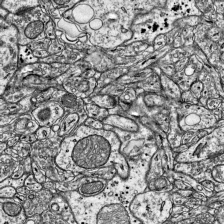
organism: Mouse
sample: Visual Cortex